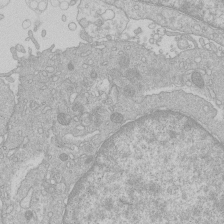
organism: Human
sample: Macrophage cells